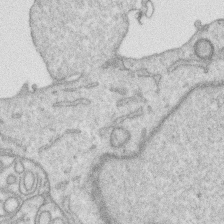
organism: Human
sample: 1205lu cells